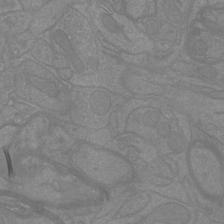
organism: Mouse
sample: Cortical neurons